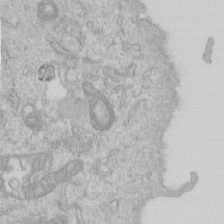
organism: Human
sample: Centriole in RPE cells